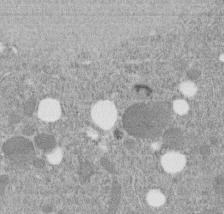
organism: C. elegans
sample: C. elegans embryo early stage